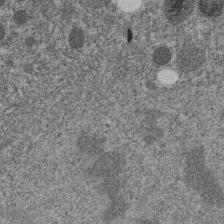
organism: C. elegans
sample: C. elegans embryo early stage